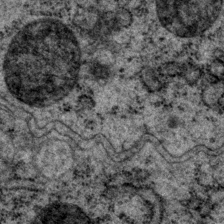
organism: P. pacificus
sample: Pharynx